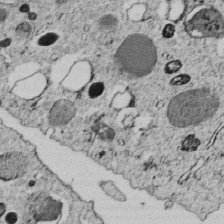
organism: C. elegans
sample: C. elegans embryo early stage